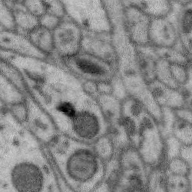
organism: Zebra finch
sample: Brain